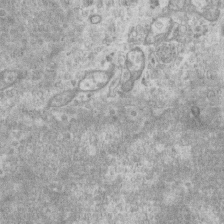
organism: Mouse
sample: Centriole in ependymal cells